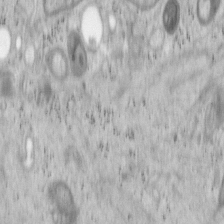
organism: Human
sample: HeLa cells